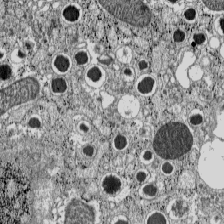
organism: C57BL Mouse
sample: Pancreatic islet